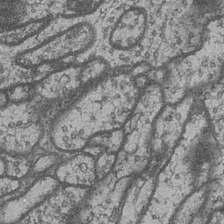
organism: Drosophila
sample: Optic medulla